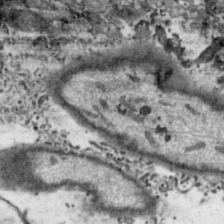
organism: Toxoplasma gondii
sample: Parasites in a vacuole inside a host cell